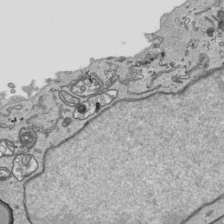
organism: Human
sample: Mitochondria in HCT116 cells